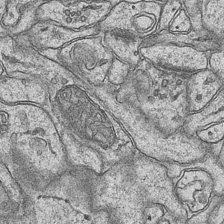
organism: Mouse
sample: CA1 Hippocampus